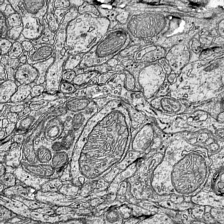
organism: Mouse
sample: Visual Cortex